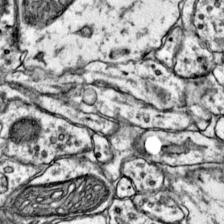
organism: Mouse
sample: Primary visual cortex